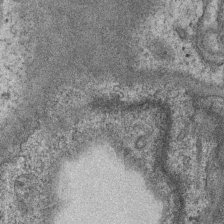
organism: Mouse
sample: CA1 Hippocampus